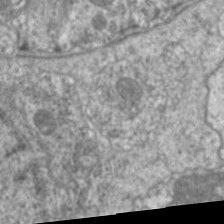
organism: C. elegans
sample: Pharynx